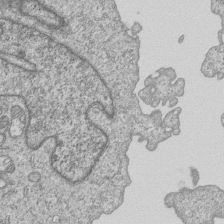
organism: Human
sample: MDA-MB-231 cells